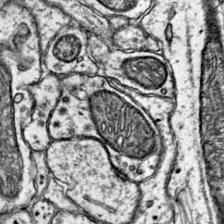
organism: Mouse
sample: Primary visual cortex